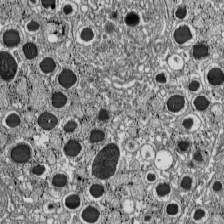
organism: C57BL Mouse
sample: Pancreatic islet